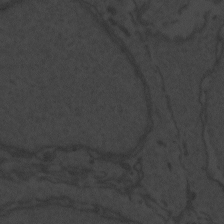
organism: Zebrafish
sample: Macrophage infected with Toxoplasma gondii